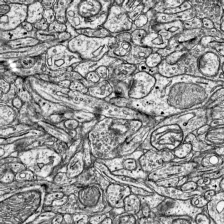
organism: Mouse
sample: Visual Cortex